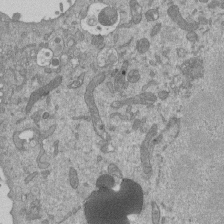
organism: Mouse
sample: ED-1 cell nuclei; centrioles